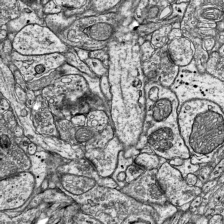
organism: Mouse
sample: Visual Cortex